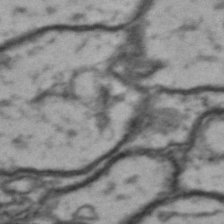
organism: Drosophila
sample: Brain